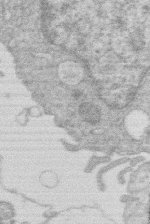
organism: Human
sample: Macrophage cells